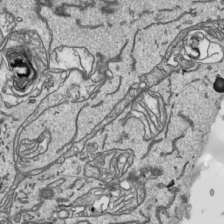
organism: Human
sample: Mitochondria in HCT116 cells